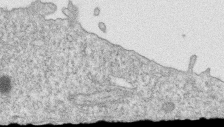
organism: Human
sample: HeLa cell HIV synapse